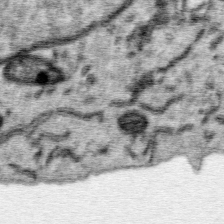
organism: Human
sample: HeLa cells